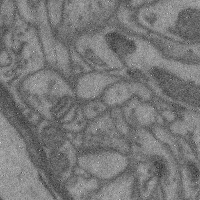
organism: Mouse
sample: Cerebral cortex